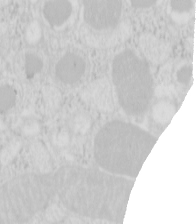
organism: Mouse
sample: Pancreas